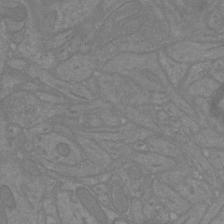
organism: Mouse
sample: Cortical neurons